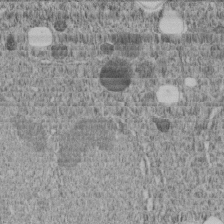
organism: C. elegans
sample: C. elegans embryo early stage